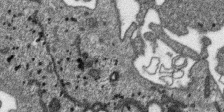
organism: Human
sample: Lung epithelial cells infected with SARS-CoV-2